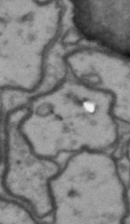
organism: Drosophila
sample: Brain